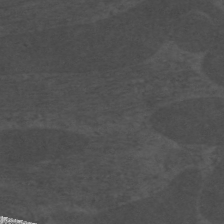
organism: C. elegans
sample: Pharynx